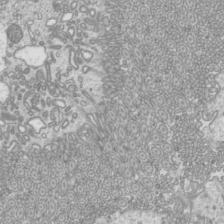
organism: Mouse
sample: Cilia; mouse epididymis